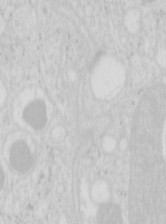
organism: Mouse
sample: Pancreas